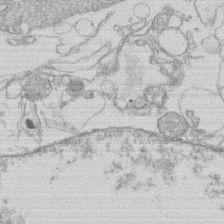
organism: Human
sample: Macrophage cells